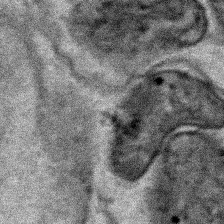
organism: Human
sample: Mitochondria in HCT116 cells